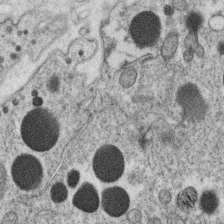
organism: C. elegans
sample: C. elegans oocyte; sperm cells